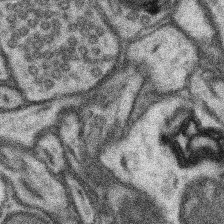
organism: Mouse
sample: Somatosensory cortex neuropil